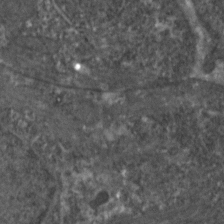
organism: Zebrafish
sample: Zebrafish embryo